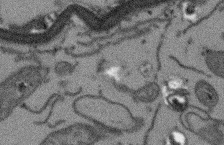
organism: Arabidopsis thaliana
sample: Root tip